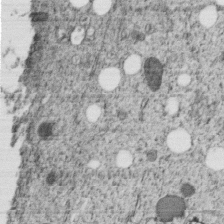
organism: C. elegans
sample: C. elegans embryo early stage